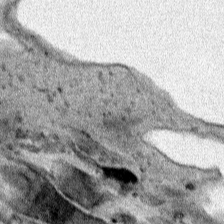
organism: Human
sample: Mitochondria in HCT116 cells